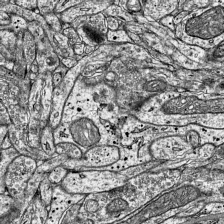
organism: Mouse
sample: Visual Cortex